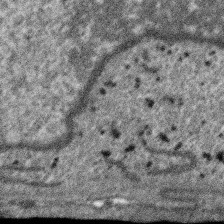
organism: Human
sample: Lung epithelial cells infected with SARS-CoV-2